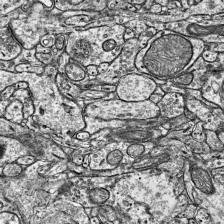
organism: Mouse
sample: Visual Cortex